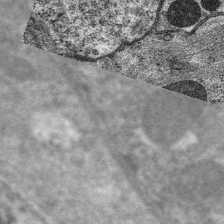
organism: C. elegans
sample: Pharynx